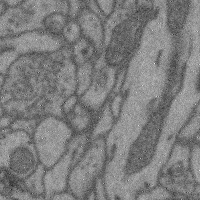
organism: Mouse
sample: Cerebral cortex